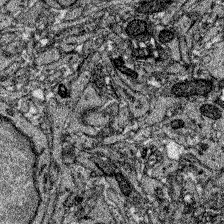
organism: Zebrafish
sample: Larval olfactory bulb